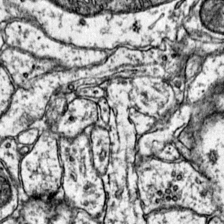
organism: Mouse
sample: Primary visual cortex